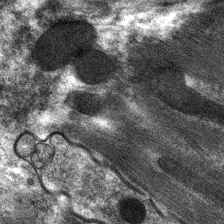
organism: C. elegans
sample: Pharynx